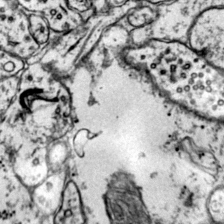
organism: Mouse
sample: Primary visual cortex